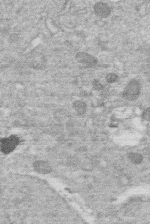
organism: Human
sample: Macrophage cells